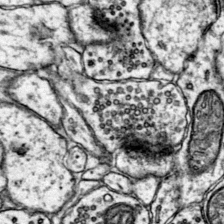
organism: Mouse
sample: Primary visual cortex